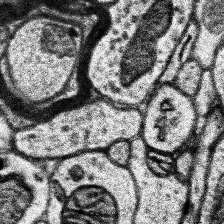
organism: Human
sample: Temporal Lobe